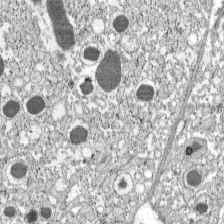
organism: C57BL Mouse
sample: Pancreatic islet